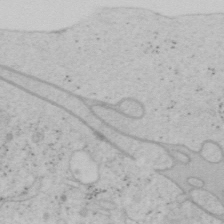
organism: Human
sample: HeLa cells